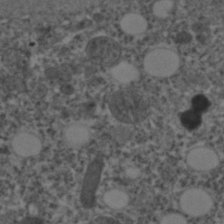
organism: C. elegans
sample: C. elegans embryo